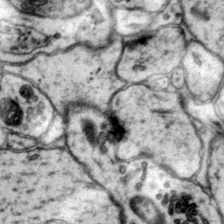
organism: Mouse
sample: Primary visual cortex